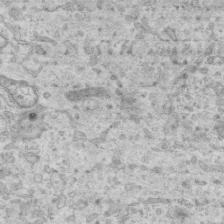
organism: Mouse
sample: Centriole in ependymal cells